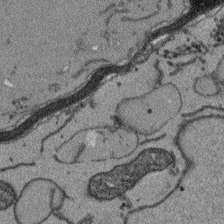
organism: Arabidopsis thaliana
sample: Root tip